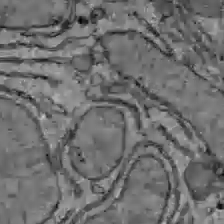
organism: C57BL Mouse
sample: Liver